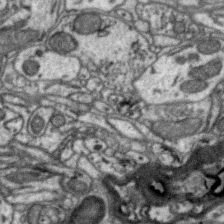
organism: Zebra finch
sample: Brain